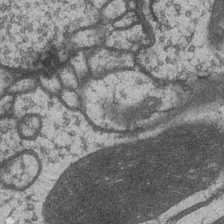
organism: Drosophila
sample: Optic medulla